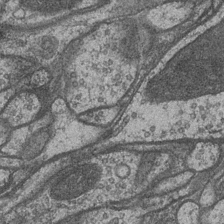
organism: Drosophila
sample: Optic medulla